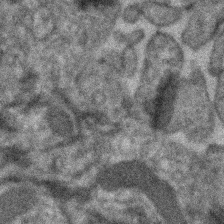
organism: Human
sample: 1205lu cells